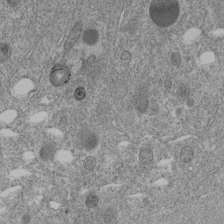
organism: C. elegans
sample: C. elegans embryo early stage